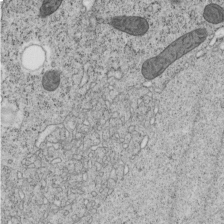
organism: C. elegans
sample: C. elegans embryo early stage